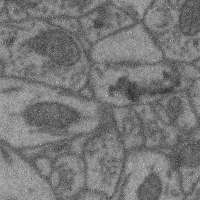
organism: Mouse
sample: Cerebral cortex